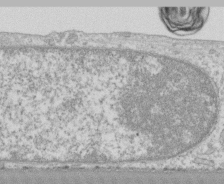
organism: Human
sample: CRL-1474